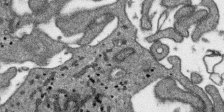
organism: Human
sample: Lung epithelial cells, uninfected (mock) control